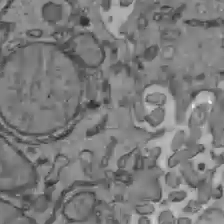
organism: C57BL Mouse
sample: Liver